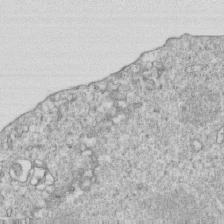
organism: Mouse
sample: Activated OT-1 CD8+ T cells